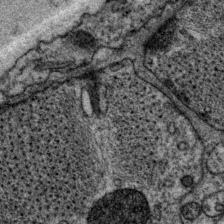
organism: P. pacificus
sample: Pharynx